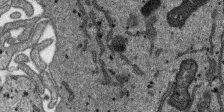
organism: Human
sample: Lung epithelial cells infected with SARS-CoV-2